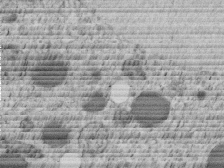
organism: C. elegans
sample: C. elegans embryo early stage